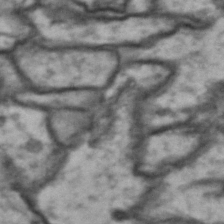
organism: Drosophila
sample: Brain